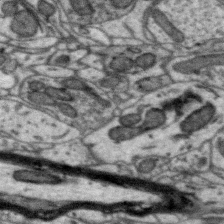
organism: Zebra finch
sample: Brain